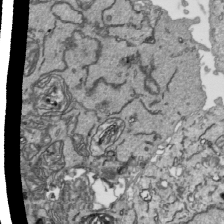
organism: Human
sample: Mitochondria in HCT116 cells